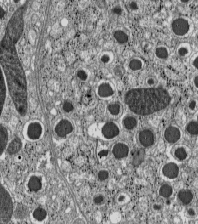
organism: C57BL Mouse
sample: Pancreatic islet